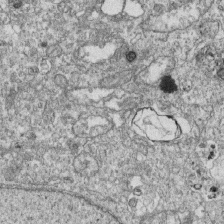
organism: Human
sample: HeLa cell HIV synapse